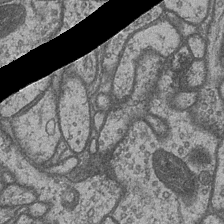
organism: Drosophila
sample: Optic medulla